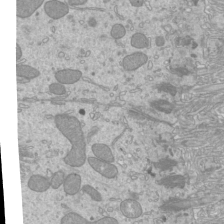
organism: Mouse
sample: Cilia; mouse epididymis